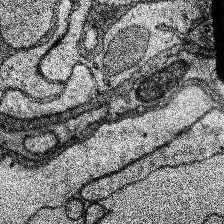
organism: Human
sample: Temporal Lobe